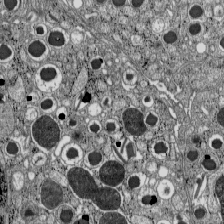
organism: C57BL Mouse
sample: Pancreatic islet